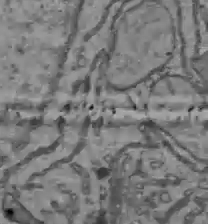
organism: C57BL Mouse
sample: Liver